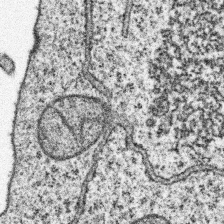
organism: Human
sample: HeLa cells